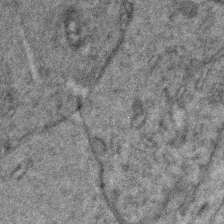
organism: Zebrafish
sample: Zebrafish embryo